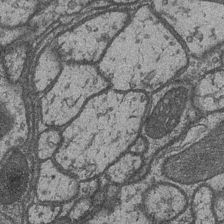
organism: Drosophila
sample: Optic medulla